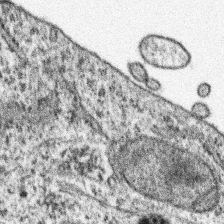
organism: Human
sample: HeLa cells